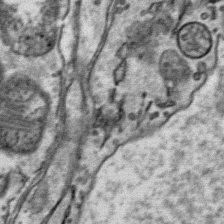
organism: Mouse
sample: Mouse Salivary gland